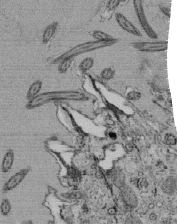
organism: Tetrahymena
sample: Cilia in tetrahymena